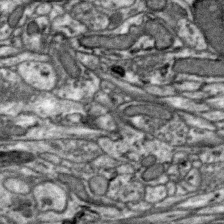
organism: Zebra finch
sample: Brain